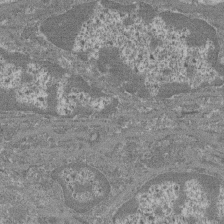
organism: Mouse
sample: Glomerulus